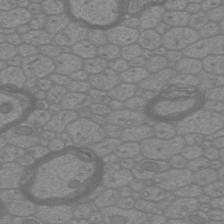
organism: Mouse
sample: Cortical neurons